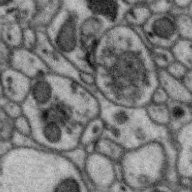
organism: Zebra finch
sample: Brain